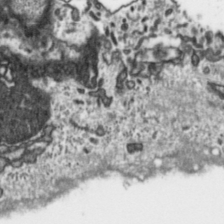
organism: Toxoplasma gondii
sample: Parasites in a vacuole inside a host cell